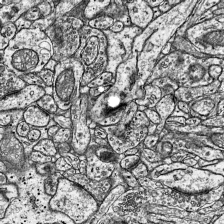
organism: Mouse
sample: Visual Cortex